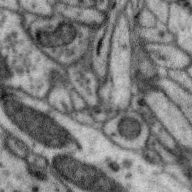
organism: Zebra finch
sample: Brain